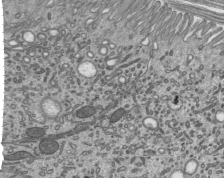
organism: Mouse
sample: Mouse epididymis efferent ductule cilia